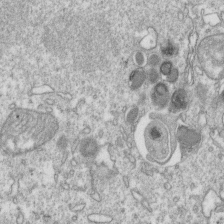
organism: Mouse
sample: Activated OT-1 CD8+ T cells